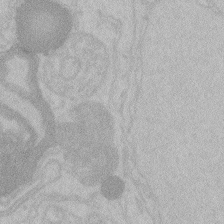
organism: Zebrafish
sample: Macrophage infected with Toxoplasma gondii